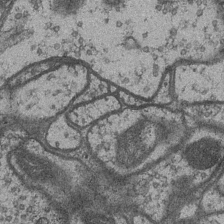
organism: Drosophila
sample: Optic medulla